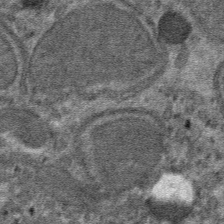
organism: Mouse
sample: Mouse hepatocytes